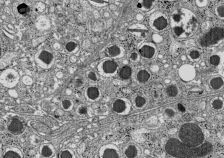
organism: C57BL Mouse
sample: Pancreatic islet